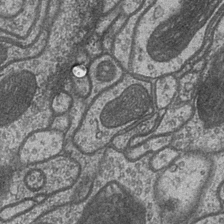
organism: Drosophila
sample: Optic medulla